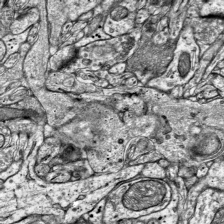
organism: Mouse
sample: Visual Cortex